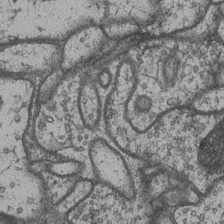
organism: Drosophila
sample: Optic medulla